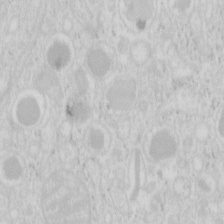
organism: Mouse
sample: Pancreas